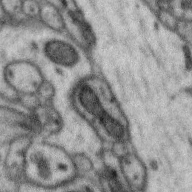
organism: Zebra finch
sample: Brain